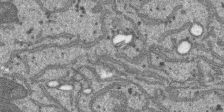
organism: Human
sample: Lung epithelial cells infected with SARS-CoV-2